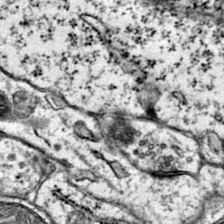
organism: Mouse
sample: Primary visual cortex